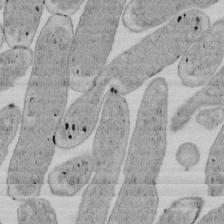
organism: E. coli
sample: Bacterial nucleoid